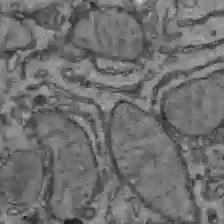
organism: C57BL Mouse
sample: Liver